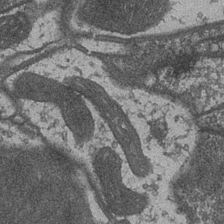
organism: Drosophila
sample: Optic medulla